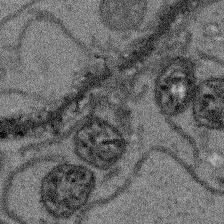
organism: Arabidopsis thaliana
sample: Root tip